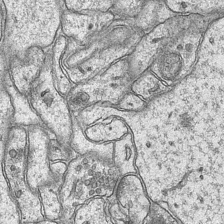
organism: Mouse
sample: CA1 Hippocampus